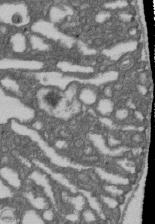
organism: Drosophila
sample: Nephrocyte